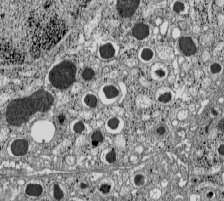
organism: C57BL Mouse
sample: Pancreatic islet